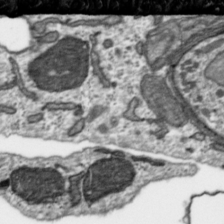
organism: Toxoplasma gondii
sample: Parasites in a vacuole inside a host cell